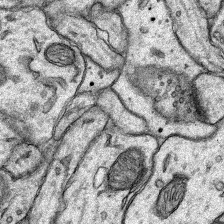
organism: Rat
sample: Hippocampus